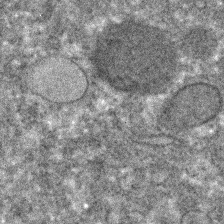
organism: C. elegans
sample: C. elegans embryo